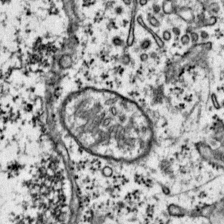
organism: Mouse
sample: Primary visual cortex